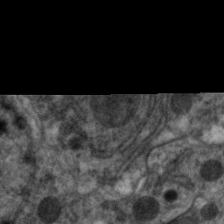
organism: C. elegans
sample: Pharynx